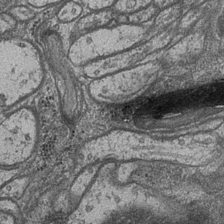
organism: Drosophila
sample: Optic medulla